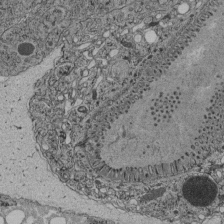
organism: C. elegans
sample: C. elegans pharynx